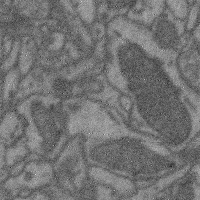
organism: Mouse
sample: Cerebral cortex